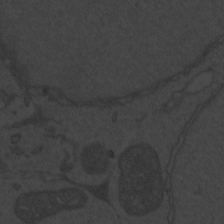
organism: Zebrafish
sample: Macrophage infected with Toxoplasma gondii